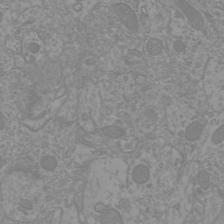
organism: Mouse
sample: Cortical neurons